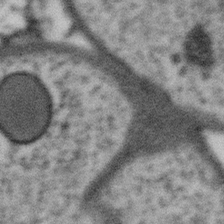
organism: Gemmata obscuriglobus